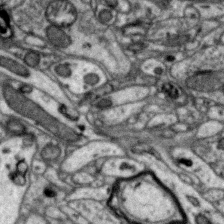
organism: Zebra finch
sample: Brain